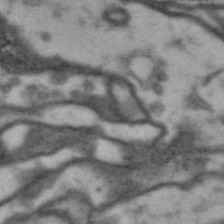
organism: Drosophila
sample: Brain